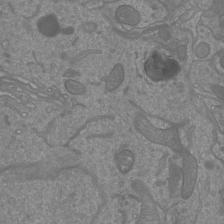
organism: Mouse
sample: Cortical neurons